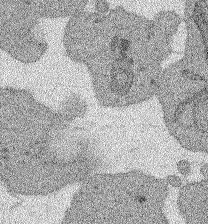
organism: Human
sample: HeLa cells